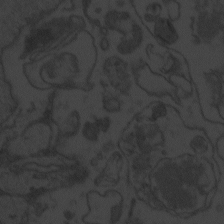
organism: Zebrafish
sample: Macrophage infected with Toxoplasma gondii